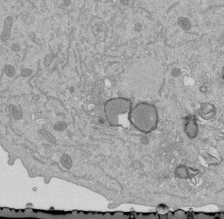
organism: Mouse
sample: ED-1 cell nuclei; centrioles